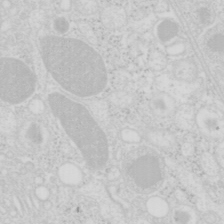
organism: Mouse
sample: Pancreas